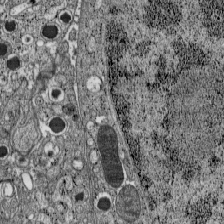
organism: C57BL Mouse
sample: Pancreatic islet